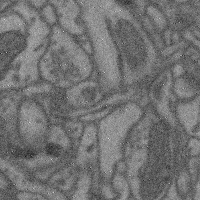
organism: Mouse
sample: Cerebral cortex